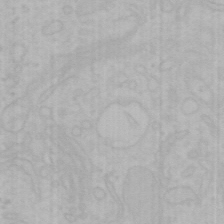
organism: Mouse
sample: Choroid plexus